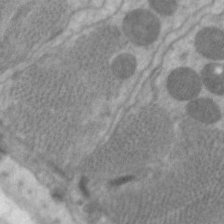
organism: C. elegans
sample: Pharynx